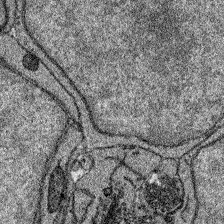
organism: Zebrafish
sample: Larval olfactory bulb